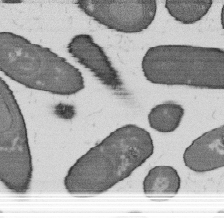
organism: B. subtilis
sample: Bacterial spore